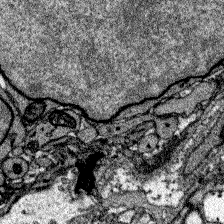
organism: Zebrafish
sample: Larval olfactory bulb